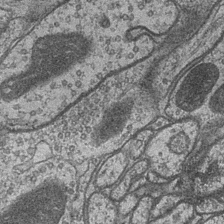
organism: Drosophila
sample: Optic medulla